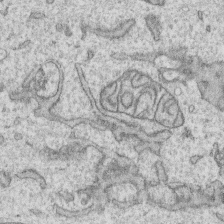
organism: Human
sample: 1205lu cells